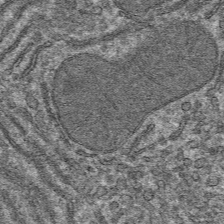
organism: Mouse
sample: Mouse hepatocytes